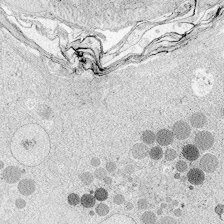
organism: Zebrafish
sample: Whole-Brain